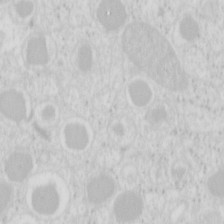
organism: Mouse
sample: Pancreas